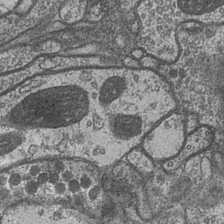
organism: Drosophila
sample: Optic medulla